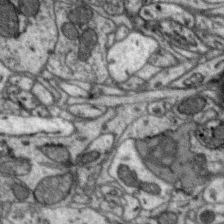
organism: Zebra finch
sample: Brain